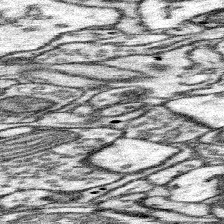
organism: Mouse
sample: Somatosensory cortex neuropil